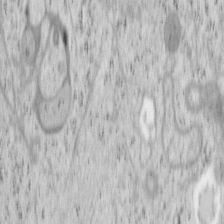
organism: Human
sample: HeLa cells